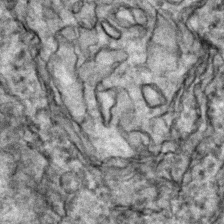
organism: Zebrafish